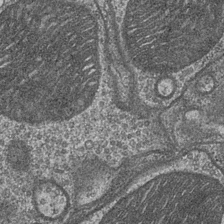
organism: Drosophila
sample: Optic medulla